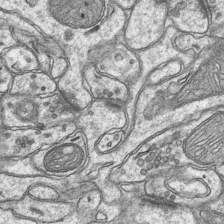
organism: Mouse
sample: CA1 Hippocampus